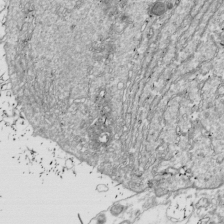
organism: Drosophila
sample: Cell division; meiosis; drosophila spermatocytes